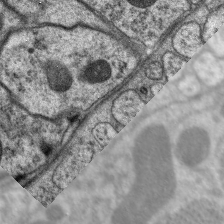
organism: C. elegans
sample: Pharynx